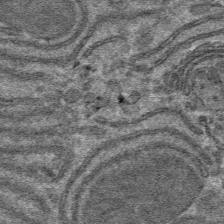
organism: Mouse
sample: Mouse hepatocytes